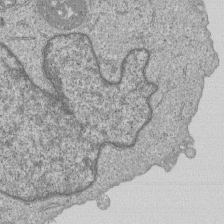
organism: Human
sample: MDA-MB-231 cells